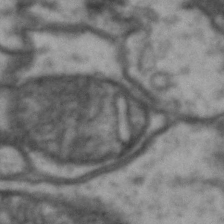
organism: Drosophila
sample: Brain